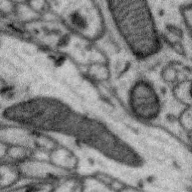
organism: Zebra finch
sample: Brain